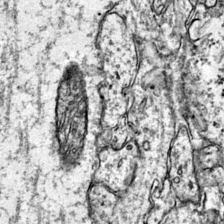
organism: Mouse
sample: Primary visual cortex